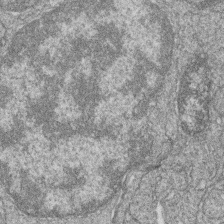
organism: Zebrafish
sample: Cilia; retinal pigment epithelium